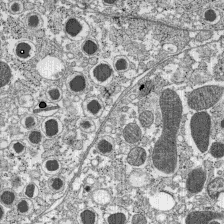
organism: C57BL Mouse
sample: Pancreatic islet